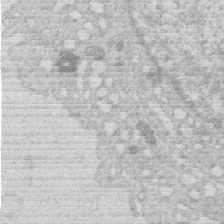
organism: Human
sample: Macrophage cells